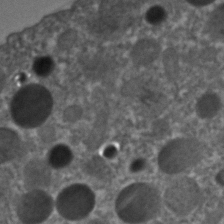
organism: C. elegans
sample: C. elegans embryo